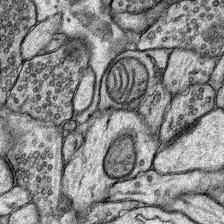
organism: Rat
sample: Hippocampus